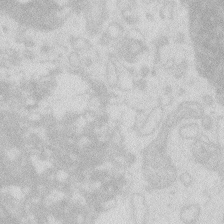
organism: Zebrafish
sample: Macrophage